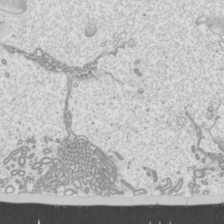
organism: Mouse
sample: Cilia; mouse epididymis